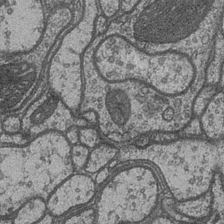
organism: Drosophila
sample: Optic medulla